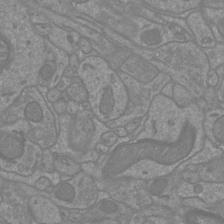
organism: Mouse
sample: Cortical neurons